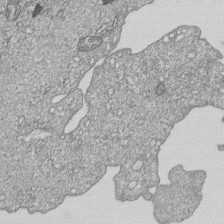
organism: Human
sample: MDA-MB-231 cells